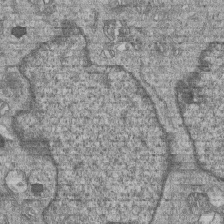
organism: Human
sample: MDA-MB-231 cells